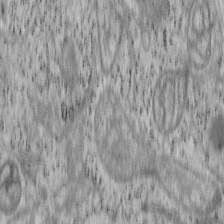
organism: Human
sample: HeLa cells